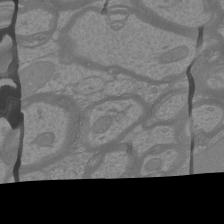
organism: Mouse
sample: Cortical neurons